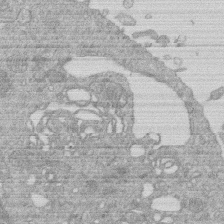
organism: Human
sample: Macrophage cells